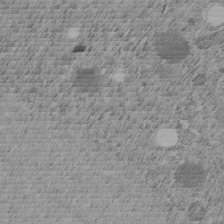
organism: C. elegans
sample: C. elegans embryo early stage